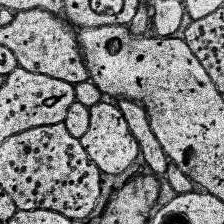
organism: Human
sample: Temporal Lobe